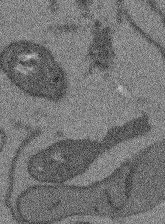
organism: Arabidopsis thaliana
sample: Root tip